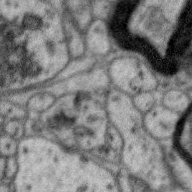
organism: Zebra finch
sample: Brain